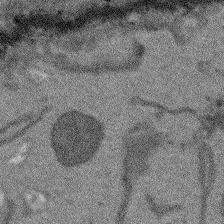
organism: Arabidopsis thaliana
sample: Root tip